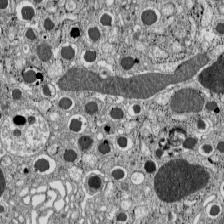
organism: C57BL Mouse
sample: Pancreatic islet